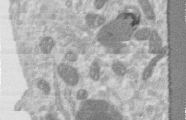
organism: Human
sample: Centriole in RPE cells